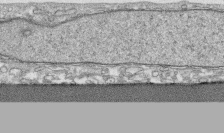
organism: Human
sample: CRL-1474